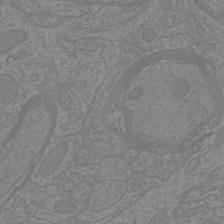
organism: Mouse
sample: Cortical neurons